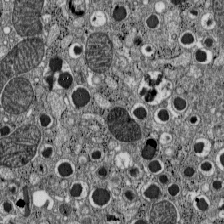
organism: C57BL Mouse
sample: Pancreatic islet